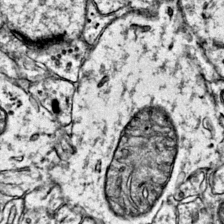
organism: Mouse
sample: Primary visual cortex